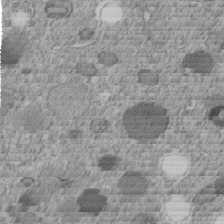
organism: C. elegans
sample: C. elegans embryo early stage